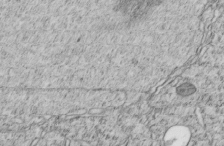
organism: C. elegans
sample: C. elegans embryo early stage